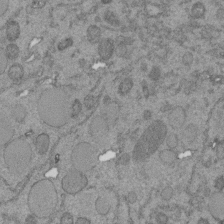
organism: C. elegans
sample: C. elegans embryo early stage